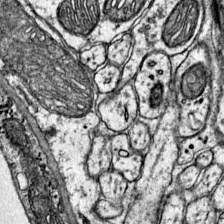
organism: Mouse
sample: Primary visual cortex